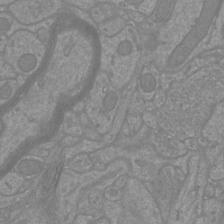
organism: Mouse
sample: Cortical neurons